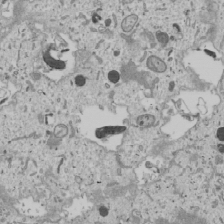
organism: Human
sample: Mitochondria in U2OS cells